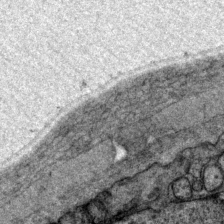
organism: P. pacificus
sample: Pharynx